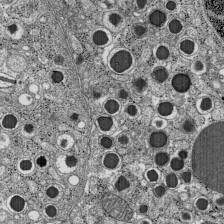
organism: C57BL Mouse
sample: Pancreatic islet